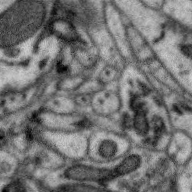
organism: Zebra finch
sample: Brain